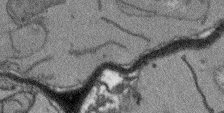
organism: Arabidopsis thaliana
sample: Root tip